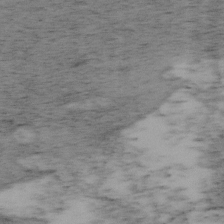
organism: Mouse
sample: OT-I killer T cells with ID8 ovarian cancer cells